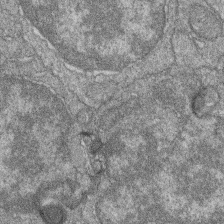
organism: Zebrafish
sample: Cilia; retinal pigment epithelium